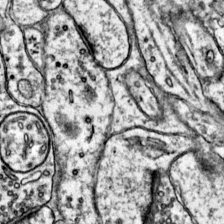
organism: Mouse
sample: Primary visual cortex